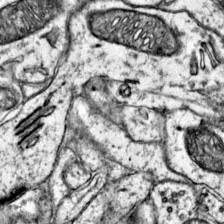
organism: Mouse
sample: Primary visual cortex